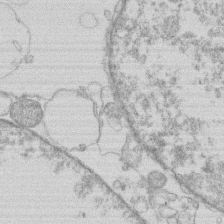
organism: Human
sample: Macrophage cells